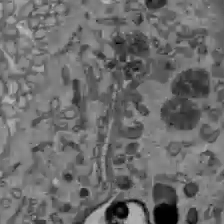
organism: C57BL Mouse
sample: Liver